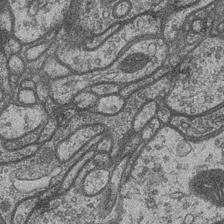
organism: Drosophila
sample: Optic medulla